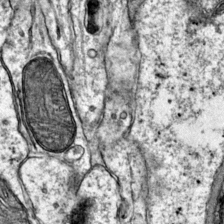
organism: Mouse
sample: Primary visual cortex